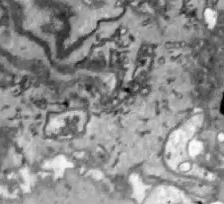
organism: Zebrafish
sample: Actinotrichia fibers